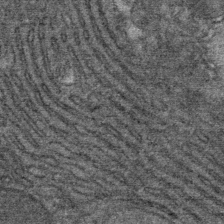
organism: Mouse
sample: Mouse Salivary gland